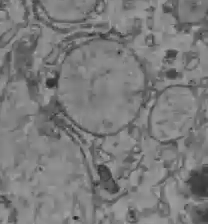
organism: C57BL Mouse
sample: Liver